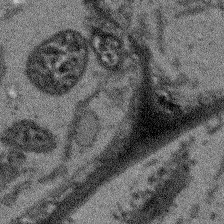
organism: Arabidopsis thaliana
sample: Root tip